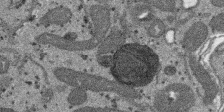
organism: Human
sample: Lung epithelial cells infected with SARS-CoV-2